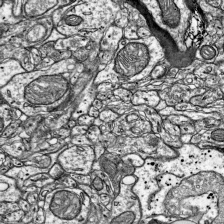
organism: Mouse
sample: Visual Cortex